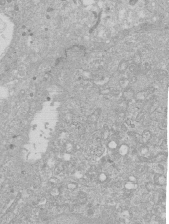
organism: Human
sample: Caco-2 cells